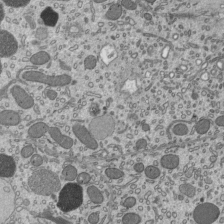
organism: Mouse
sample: Mouse epididymis efferent ductule cilia